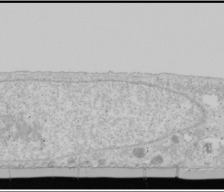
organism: Human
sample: Mitochondria in U2OS cells